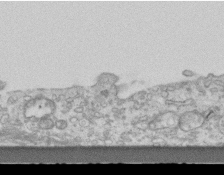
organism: Mouse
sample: Centriole in ependymal cells